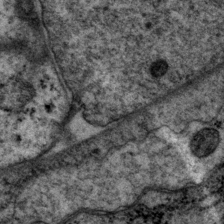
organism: P. pacificus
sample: Pharynx